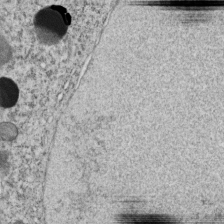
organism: C. elegans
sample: C. elegans embryo early stage